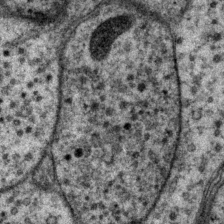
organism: P. pacificus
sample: Pharynx